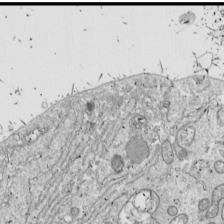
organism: Drosophila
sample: Cell division; meiosis; drosophila spermatocytes